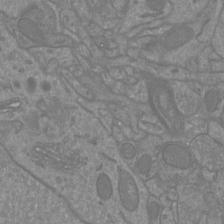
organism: Mouse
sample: Cortical neurons